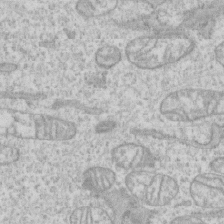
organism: Human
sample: CRL-1474